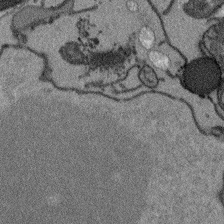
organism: Arabidopsis thaliana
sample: Root tip